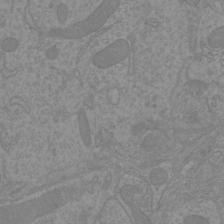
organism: Mouse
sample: Cortical neurons